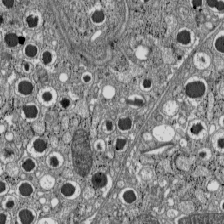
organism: C57BL Mouse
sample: Pancreatic islet